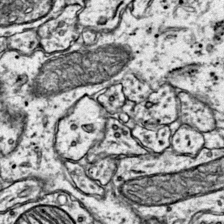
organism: Mouse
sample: Primary visual cortex